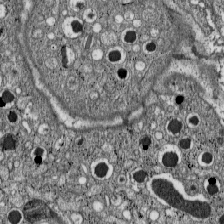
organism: C57BL Mouse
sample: Pancreatic islet